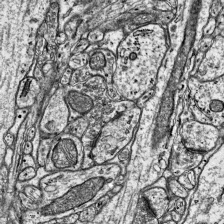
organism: Mouse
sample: Visual Cortex